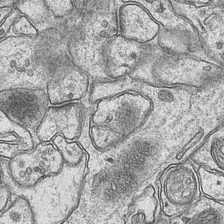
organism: Mouse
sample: CA1 Hippocampus